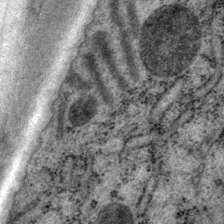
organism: P. pacificus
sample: Pharynx